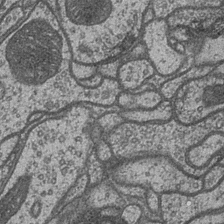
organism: Drosophila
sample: Optic medulla